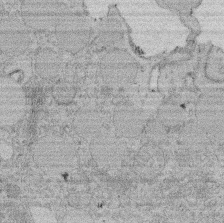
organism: Rat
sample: Salivary granule